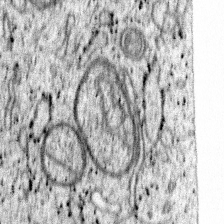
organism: Human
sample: HeLa cells